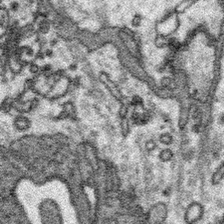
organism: Platynereis dumerilii